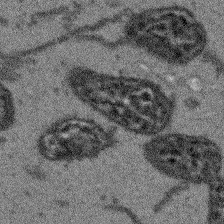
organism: Arabidopsis thaliana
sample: Root tip